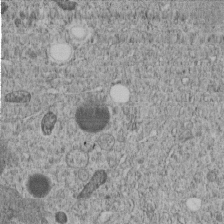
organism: C. elegans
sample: C. elegans embryo early stage